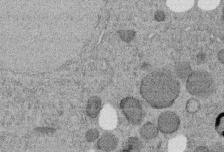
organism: C. elegans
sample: C. elegans embryo early stage